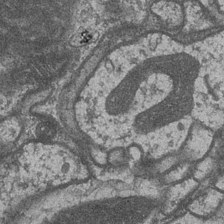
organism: Drosophila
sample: Optic medulla